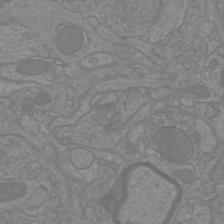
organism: Mouse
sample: Cortical neurons